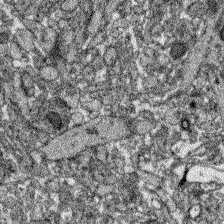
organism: Zebrafish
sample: Larval olfactory bulb